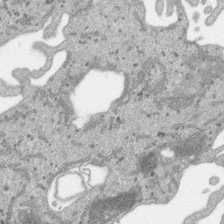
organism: Human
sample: Lung epithelial cells infected with SARS-CoV-2